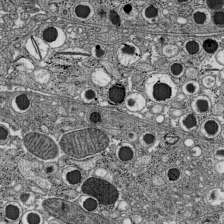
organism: C57BL Mouse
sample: Pancreatic islet